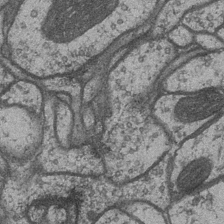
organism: Drosophila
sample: Optic medulla